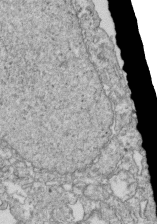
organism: Human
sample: HeLa cell HIV synapse